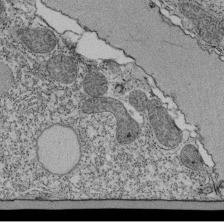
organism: Tetrahymena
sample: Cilia in tetrahymena